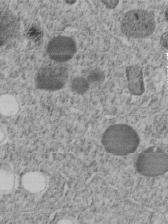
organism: C. elegans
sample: C. elegans embryo early stage